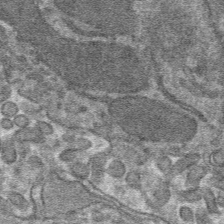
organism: Mouse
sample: Mouse hepatocytes